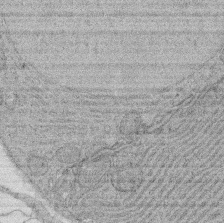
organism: Rat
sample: Salivary granule